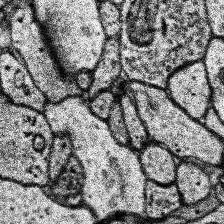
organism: Human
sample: Temporal Lobe